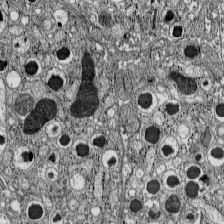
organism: C57BL Mouse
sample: Pancreatic islet